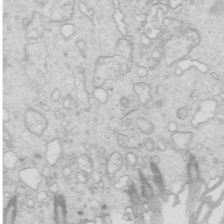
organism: Mouse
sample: Multiciliated cells